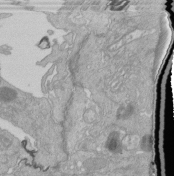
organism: Human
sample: Retinal organoid Rod and Cone cells